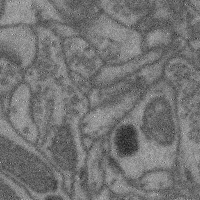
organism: Mouse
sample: Cerebral cortex